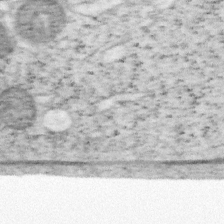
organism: Mouse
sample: OT-I killer T cells with ID8 ovarian cancer cells